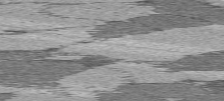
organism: C57BL Mouse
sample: Heart